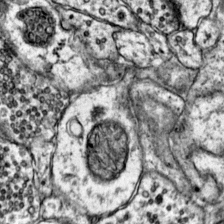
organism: Mouse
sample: Primary visual cortex